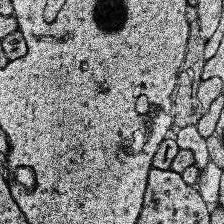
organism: Human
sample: Temporal Lobe